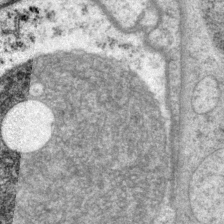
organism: P. pacificus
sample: Pharynx